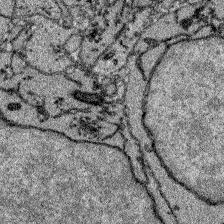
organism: Zebrafish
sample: Larval olfactory bulb